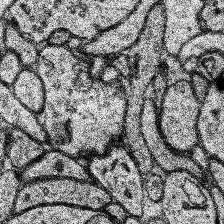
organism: Human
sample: Temporal Lobe